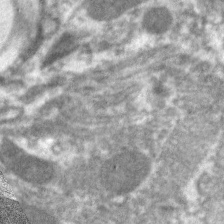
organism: C. elegans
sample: Pharynx